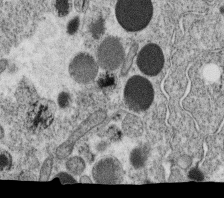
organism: C. elegans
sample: C. elegans oocyte; sperm cells